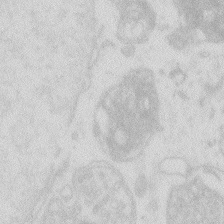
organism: Zebrafish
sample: Macrophage